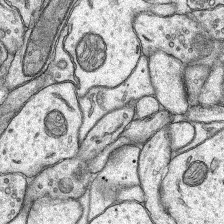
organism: Rat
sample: Hippocampus